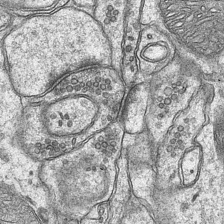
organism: Mouse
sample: CA1 Hippocampus